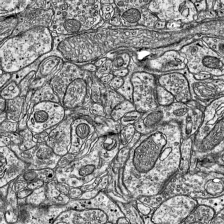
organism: Mouse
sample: Visual Cortex